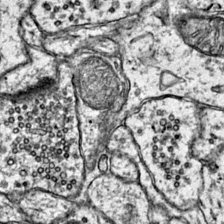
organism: Mouse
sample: Primary visual cortex